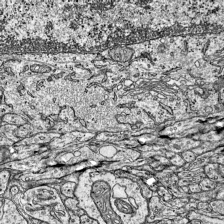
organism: Mouse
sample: Visual Cortex